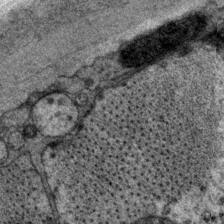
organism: P. pacificus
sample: Pharynx